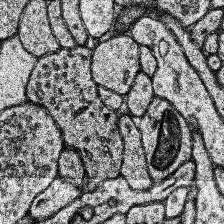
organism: Human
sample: Temporal Lobe